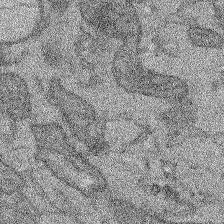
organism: Human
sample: HeLa cells